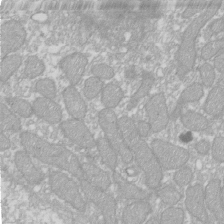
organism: Xenopus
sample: Cilia; centrioles in frog embryo cells